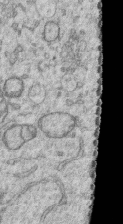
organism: Human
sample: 1205lu cells